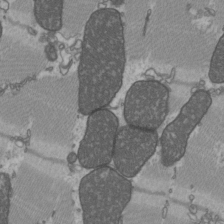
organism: C57BL Mouse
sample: Heart